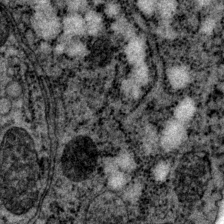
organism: P. pacificus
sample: Pharynx